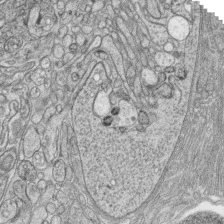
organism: Zebrafish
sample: synaptic ribbons in rod cells and cone cells